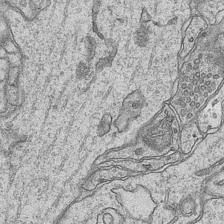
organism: Mouse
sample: CA1 Hippocampus